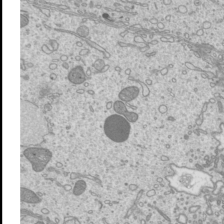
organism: Mouse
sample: Cilia; mouse epididymis